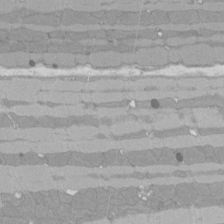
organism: Rat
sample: Left ventricle